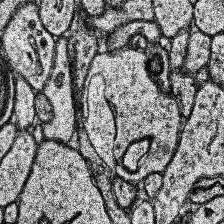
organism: Human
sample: Temporal Lobe